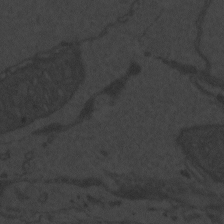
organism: Zebrafish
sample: Macrophage infected with Toxoplasma gondii